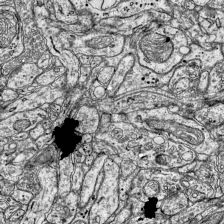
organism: Mouse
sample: Visual Cortex